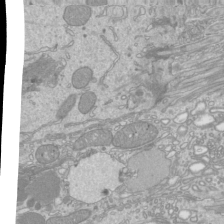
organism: Mouse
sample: Cilia; mouse epididymis